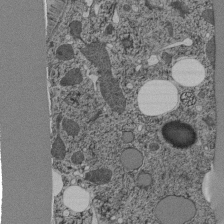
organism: C. elegans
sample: C. elegans pharynx